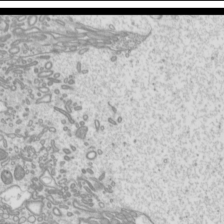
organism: Mouse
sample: Cilia; mouse epididymis